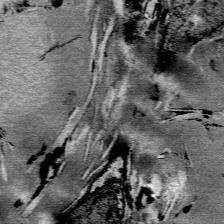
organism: Mouse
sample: Mouse Salivary gland